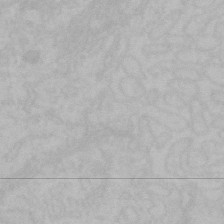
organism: Mouse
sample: Choroid plexus